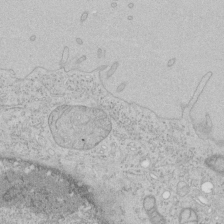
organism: Human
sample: Mitochondria in HCT116 cells